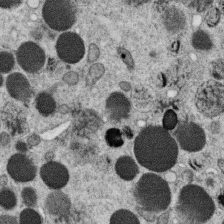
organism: C. elegans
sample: C. elegans oocyte; sperm cells